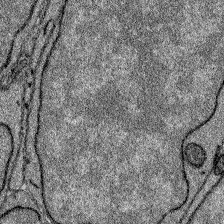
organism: Zebrafish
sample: Larval olfactory bulb